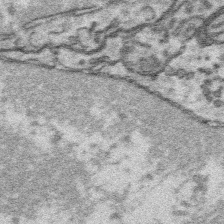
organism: Platynereis dumerilii